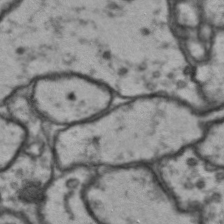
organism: Drosophila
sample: Brain